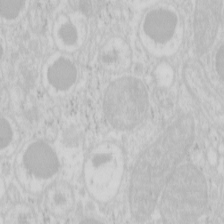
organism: Mouse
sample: Pancreas